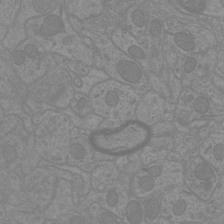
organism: Mouse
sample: Cortical neurons